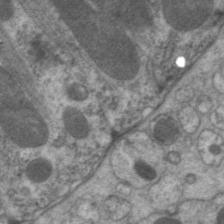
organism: C. elegans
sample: Pharynx